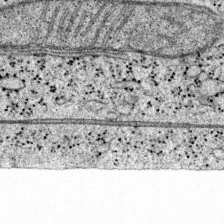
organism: Human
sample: HeLa cells